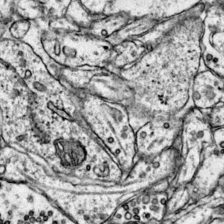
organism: Mouse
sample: Primary visual cortex